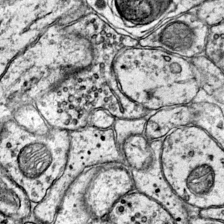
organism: Mouse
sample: Primary visual cortex